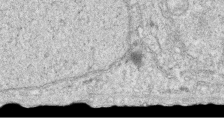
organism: Human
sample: HeLa cell HIV synapse